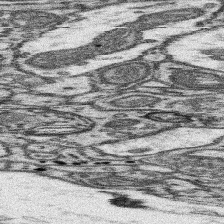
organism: Mouse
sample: Somatosensory cortex neuropil